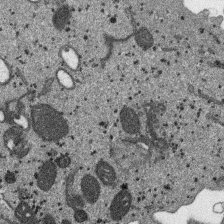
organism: Human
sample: Lung epithelial cells infected with SARS-CoV-2